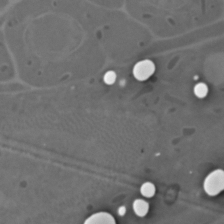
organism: C. elegans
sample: C. elegans embryo